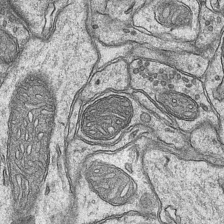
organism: Mouse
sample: CA1 Hippocampus